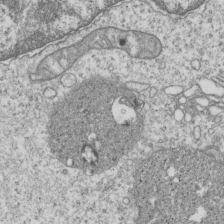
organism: Human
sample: MDA-MB-231 cells